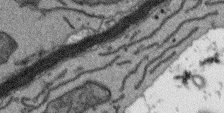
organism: Arabidopsis thaliana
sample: Root tip